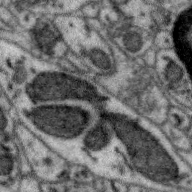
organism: Zebra finch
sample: Brain